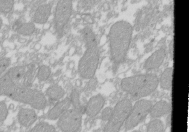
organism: Xenopus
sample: Cilia; centrioles in frog embryo cells